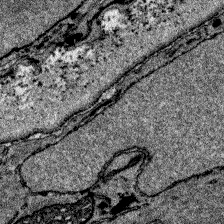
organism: Zebrafish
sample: Larval olfactory bulb